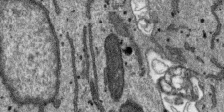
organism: Human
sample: Lung epithelial cells, uninfected (mock) control